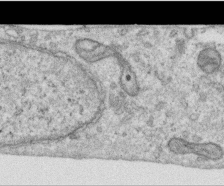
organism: Human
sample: Centriole in RPE cells